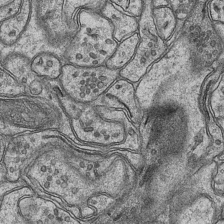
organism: Mouse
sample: CA1 Hippocampus